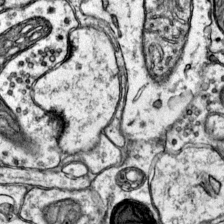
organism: Mouse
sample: Primary visual cortex